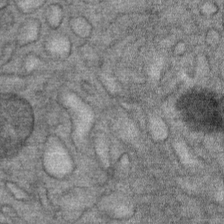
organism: Mouse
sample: Mouse Salivary gland